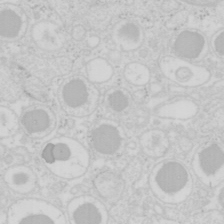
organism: Mouse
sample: Pancreas